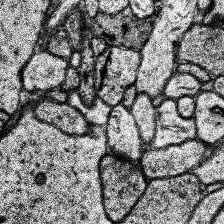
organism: Human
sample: Temporal Lobe